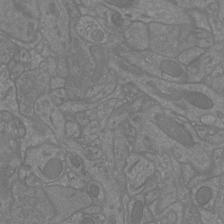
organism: Mouse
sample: Cortical neurons